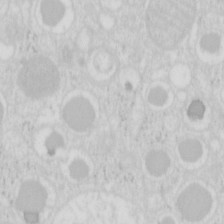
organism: Mouse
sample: Pancreas